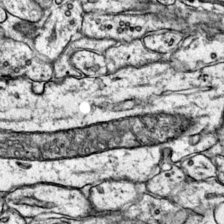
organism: Mouse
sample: Primary visual cortex